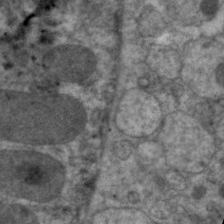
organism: C. elegans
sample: Pharynx